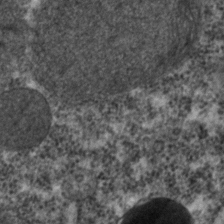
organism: C. elegans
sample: C. elegans embryo